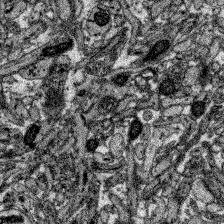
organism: Zebrafish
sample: Larval olfactory bulb